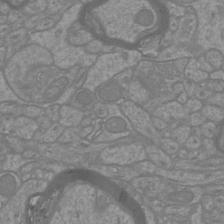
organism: Mouse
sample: Cortical neurons